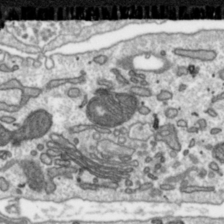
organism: Toxoplasma gondii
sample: Parasites in a vacuole inside a host cell